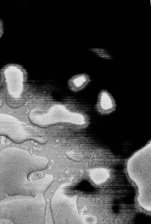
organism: Human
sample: Retinal organoid Rod and Cone cells